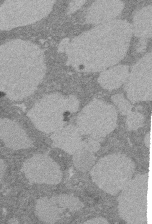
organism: Rat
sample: Salivary granule